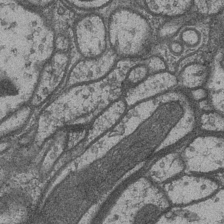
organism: Drosophila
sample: Optic medulla